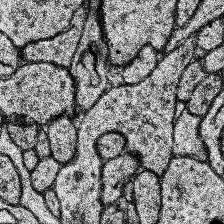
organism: Human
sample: Temporal Lobe